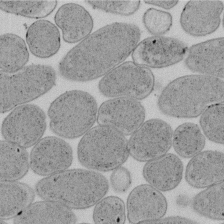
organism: E. coli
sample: Bacterial nucleoid